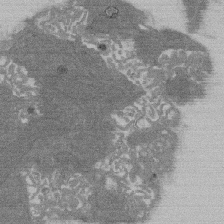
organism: Rat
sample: Salivary granule